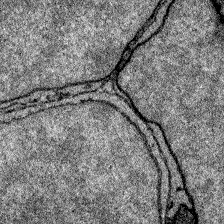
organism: Zebrafish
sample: Larval olfactory bulb